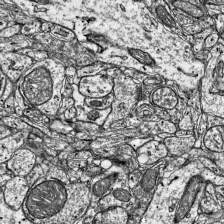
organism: Mouse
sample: Visual Cortex